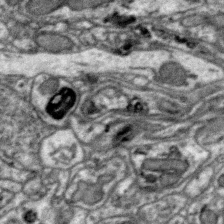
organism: Zebra finch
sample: Brain